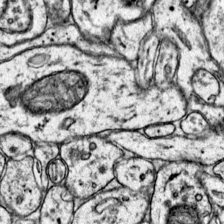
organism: Mouse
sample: Primary visual cortex